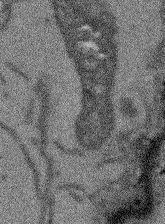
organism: Arabidopsis thaliana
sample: Root tip